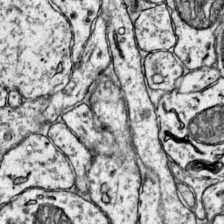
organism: Mouse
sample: Primary visual cortex